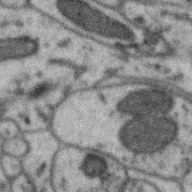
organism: Zebra finch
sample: Brain